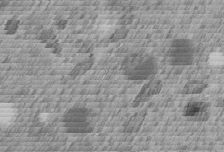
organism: C. elegans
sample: C. elegans embryo early stage